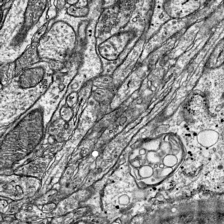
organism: Mouse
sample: Visual Cortex